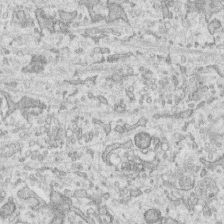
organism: Human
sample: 1205lu cells